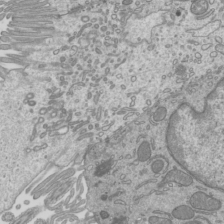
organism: Mouse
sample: Cilia; mouse epididymis